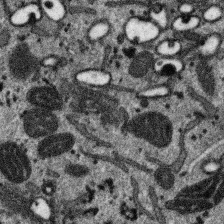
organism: Human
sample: Lung epithelial cells infected with SARS-CoV-2